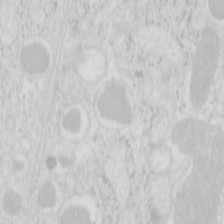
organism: Mouse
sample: Pancreas